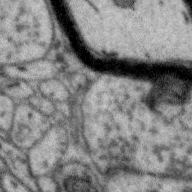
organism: Zebra finch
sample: Brain